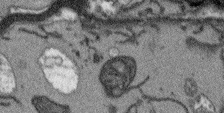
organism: Arabidopsis thaliana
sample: Root tip